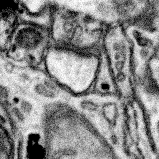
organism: Mouse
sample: Somatosensory cortex neuropil